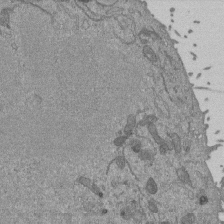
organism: Mouse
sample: ED-1 cell nuclei; centrioles